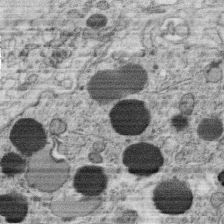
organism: C. elegans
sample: C. elegans oocyte; sperm cells